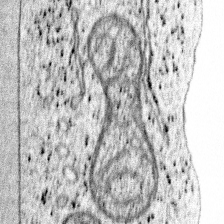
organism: Human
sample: HeLa cells